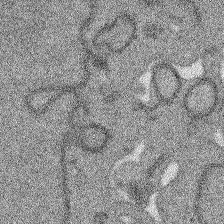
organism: Human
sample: HeLa cells